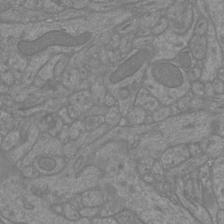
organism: Mouse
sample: Cortical neurons